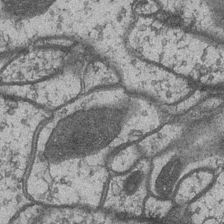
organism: Drosophila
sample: Optic medulla